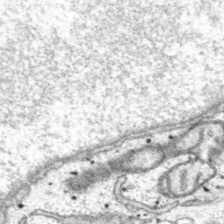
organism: Human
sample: HeLa cells